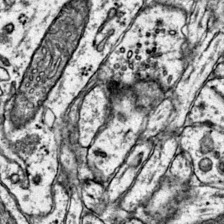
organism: Mouse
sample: Primary visual cortex